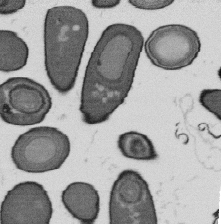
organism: B. subtilis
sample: Bacterial spore